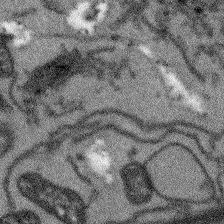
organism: Arabidopsis thaliana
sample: Root tip